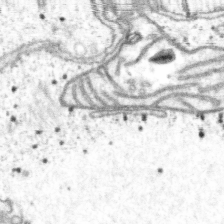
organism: Human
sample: HeLa cells